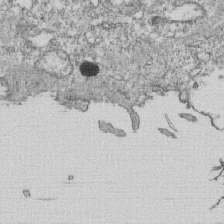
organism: Human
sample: HeLa cell HIV synapse